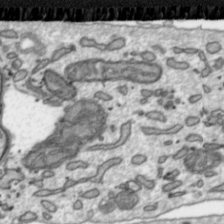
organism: Toxoplasma gondii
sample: Parasites in a vacuole inside a host cell